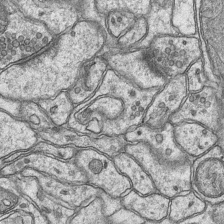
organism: Mouse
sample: CA1 Hippocampus